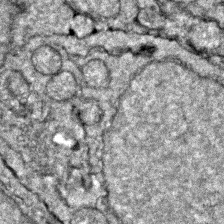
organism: Zebrafish